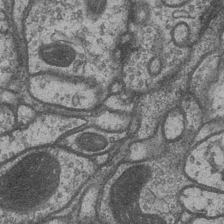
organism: Drosophila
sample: Optic medulla